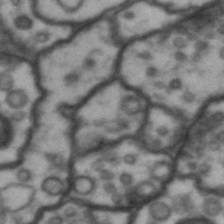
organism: Drosophila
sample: Brain